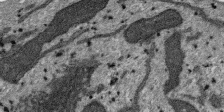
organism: Human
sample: Lung epithelial cells, uninfected (mock) control